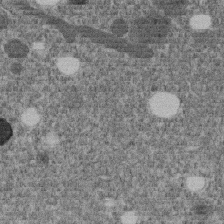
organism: C. elegans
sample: C. elegans embryo early stage